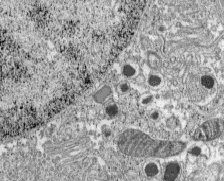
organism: C57BL Mouse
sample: Pancreatic islet